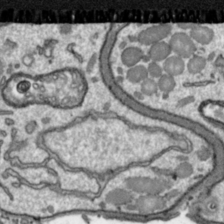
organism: Toxoplasma gondii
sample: Parasites in a vacuole inside a host cell